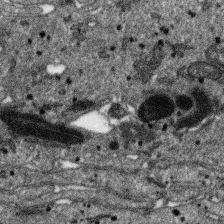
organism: Human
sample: Lung epithelial cells infected with SARS-CoV-2